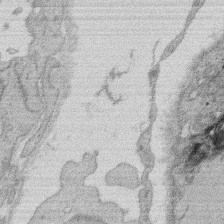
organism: Rat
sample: Salivary granule